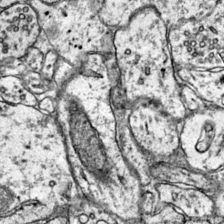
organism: Mouse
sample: Primary visual cortex